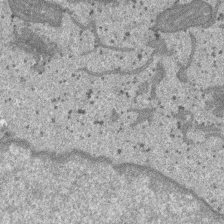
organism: Human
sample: Lung epithelial cells infected with SARS-CoV-2